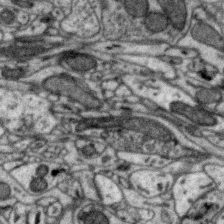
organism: Zebra finch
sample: Brain